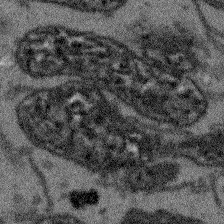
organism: Arabidopsis thaliana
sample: Root tip